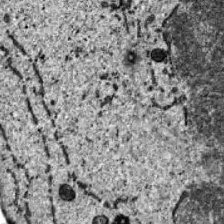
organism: Human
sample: HeLa cells